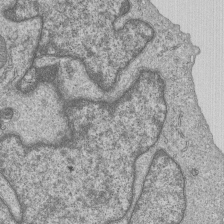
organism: Human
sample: MDA-MB-231 cells